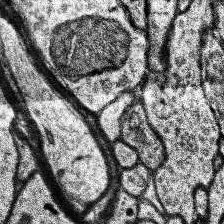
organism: Human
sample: Temporal Lobe